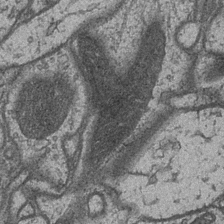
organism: Drosophila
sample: Optic medulla